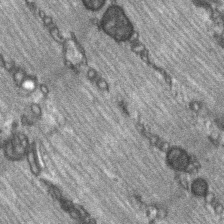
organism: C57BL Mouse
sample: Soleus